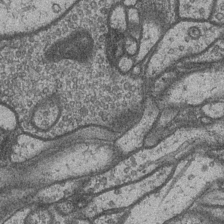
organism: Drosophila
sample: Optic medulla